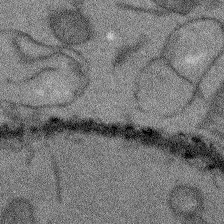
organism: Arabidopsis thaliana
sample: Root tip